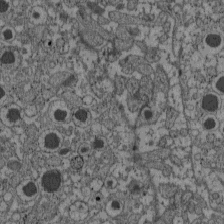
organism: C57BL Mouse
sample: Pancreatic islet